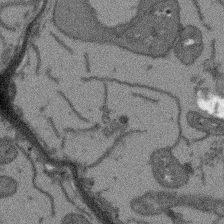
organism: Arabidopsis thaliana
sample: Root tip